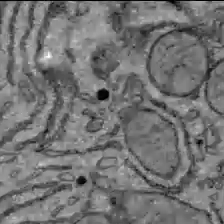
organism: C57BL Mouse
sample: Liver